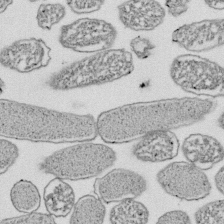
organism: E. coli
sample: Bacterial nucleoid